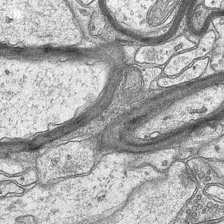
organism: Mouse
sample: CA1 Hippocampus